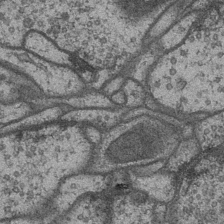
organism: Drosophila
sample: Optic medulla